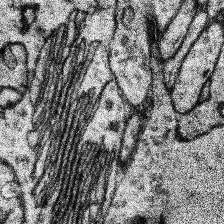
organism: Human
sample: Temporal Lobe